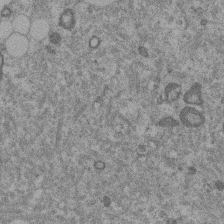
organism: Mouse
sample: Dividing mouse embryo 1 cell stage